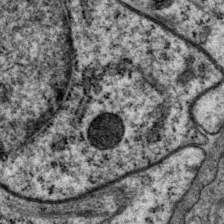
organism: P. pacificus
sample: Pharynx